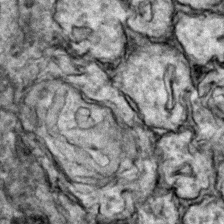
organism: Zebrafish